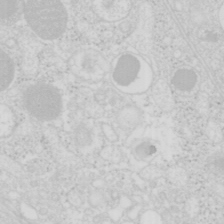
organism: Mouse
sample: Pancreas